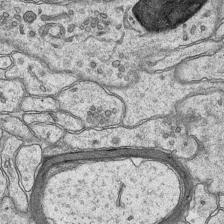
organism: Mouse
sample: CA1 Hippocampus